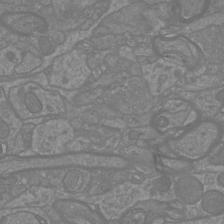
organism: Mouse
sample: Cortical neurons